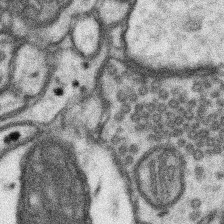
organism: Mouse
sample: Somatosensory cortex neuropil